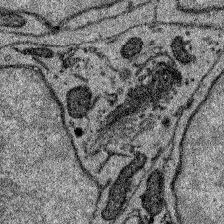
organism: Zebrafish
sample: Larval olfactory bulb